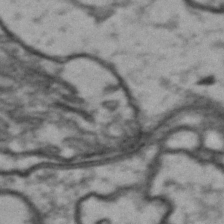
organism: Drosophila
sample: Brain